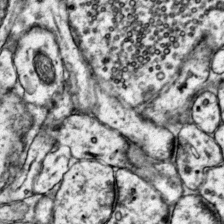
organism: Mouse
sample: Primary visual cortex